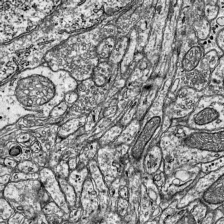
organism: Mouse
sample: Visual Cortex